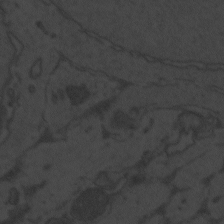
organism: Zebrafish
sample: Macrophage infected with Toxoplasma gondii